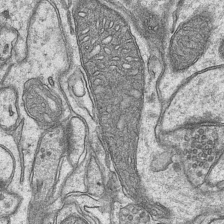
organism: Mouse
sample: CA1 Hippocampus